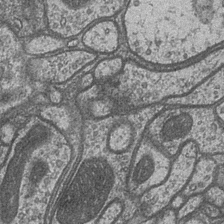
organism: Drosophila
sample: Optic medulla